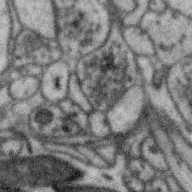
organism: Zebra finch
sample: Brain